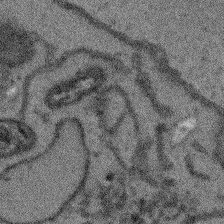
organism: Arabidopsis thaliana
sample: Root tip